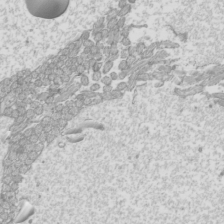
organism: Mouse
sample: Cilia; mouse epididymis